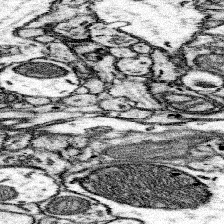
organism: Mouse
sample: Somatosensory cortex neuropil